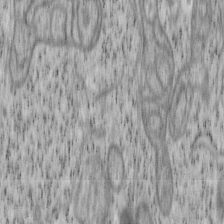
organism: Human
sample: HeLa cells